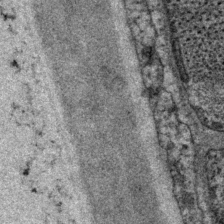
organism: P. pacificus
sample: Pharynx